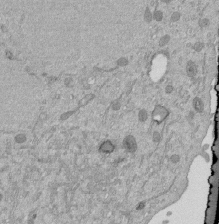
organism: Mouse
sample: ED-1 cell nuclei; centrioles